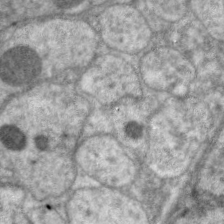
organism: C. elegans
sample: Pharynx